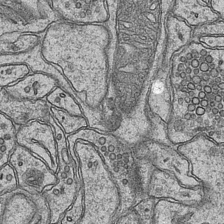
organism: Mouse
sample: CA1 Hippocampus